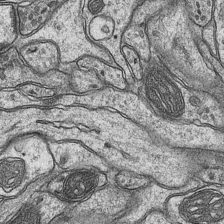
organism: Mouse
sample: CA1 Hippocampus